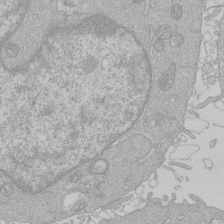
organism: Human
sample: Macrophage cells